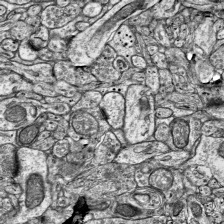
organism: Mouse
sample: Visual Cortex